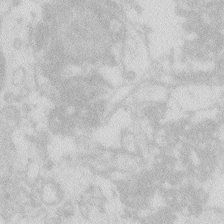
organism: Zebrafish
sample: Macrophage